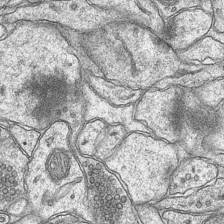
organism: Mouse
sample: CA1 Hippocampus